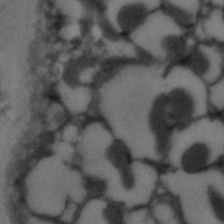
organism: C. elegans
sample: C. elegans embryo